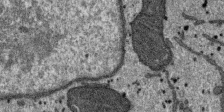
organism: Human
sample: Lung epithelial cells, uninfected (mock) control